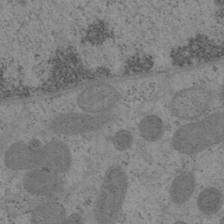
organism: Mouse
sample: OT-I killer T cells with ID8 ovarian cancer cells